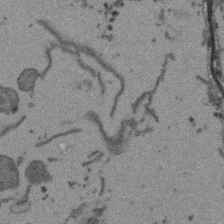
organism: Arabidopsis thaliana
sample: Root tip